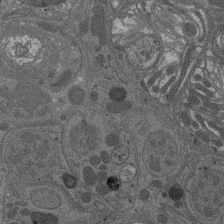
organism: Drosophila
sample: Antenna